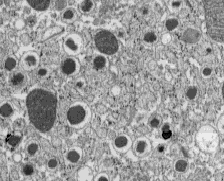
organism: C57BL Mouse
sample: Pancreatic islet